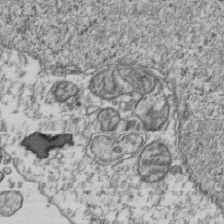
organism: Human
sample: Activated Jurkat CD4+ T cells